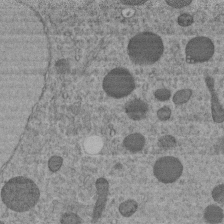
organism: C. elegans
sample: C. elegans embryo early stage